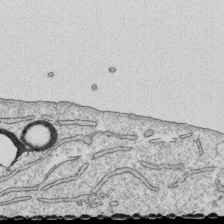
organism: Human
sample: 1205lu cells